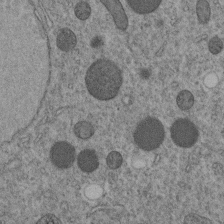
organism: C. elegans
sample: C. elegans embryo early stage